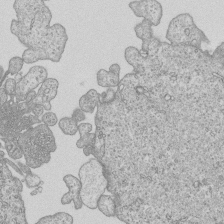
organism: Human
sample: MDA-MB-231 cells